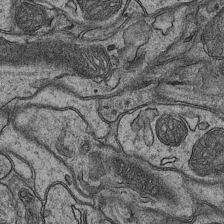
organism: Mouse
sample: CA1 Hippocampus